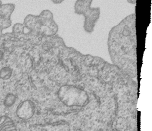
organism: Human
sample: MDA-MB-231 cells